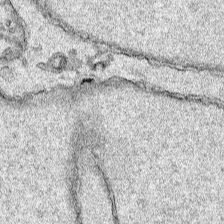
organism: Human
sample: Mitochondria in HCT116 cells